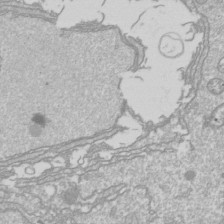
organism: Drosophila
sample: Cell division; meiosis; drosophila spermatocytes